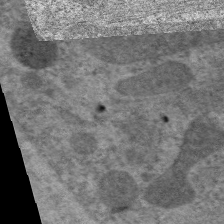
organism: C. elegans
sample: Pharynx